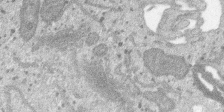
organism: Human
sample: Lung epithelial cells infected with SARS-CoV-2